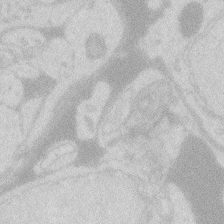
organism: Zebrafish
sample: Macrophage